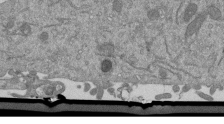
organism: Mouse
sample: ED-1 cell nuclei; centrioles